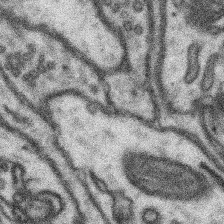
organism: Mouse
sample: Somatosensory cortex neuropil